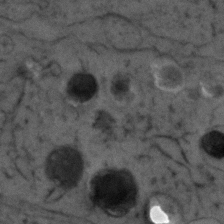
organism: Zebrafish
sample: Zebrafish embryo